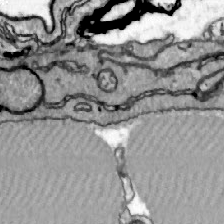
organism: Zebrafish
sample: Actinotrichia fibers